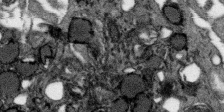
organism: Human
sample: Lung epithelial cells, uninfected (mock) control